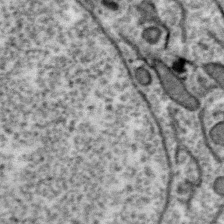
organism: Zebra finch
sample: Brain